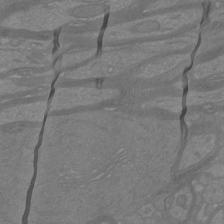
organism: Mouse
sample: Cortical neurons